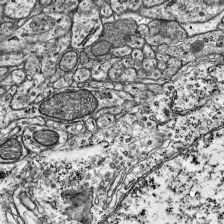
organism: Mouse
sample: Visual Cortex